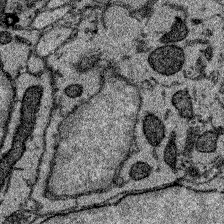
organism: Zebrafish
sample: Larval olfactory bulb